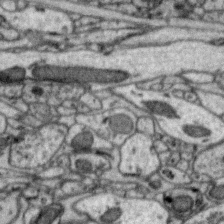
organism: Zebra finch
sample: Brain